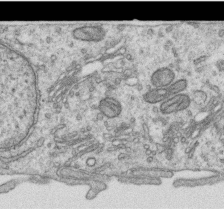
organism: Human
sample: Centriole in RPE cells